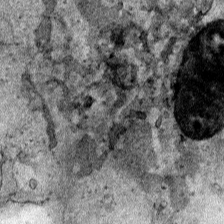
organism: Human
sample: Mitochondria in HCT116 cells